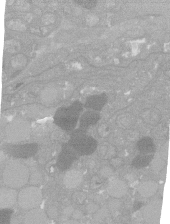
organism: C. elegans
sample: C. elegans oocyte; sperm cells